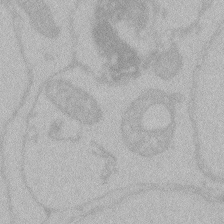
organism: Zebrafish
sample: Macrophage infected with Toxoplasma gondii